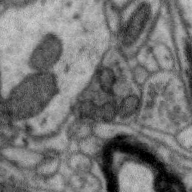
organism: Zebra finch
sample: Brain